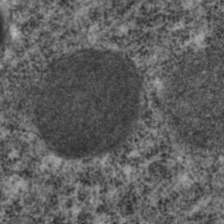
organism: C. elegans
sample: C. elegans embryo